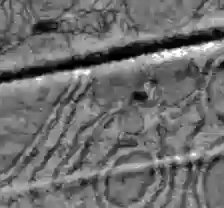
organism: C57BL Mouse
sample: Liver